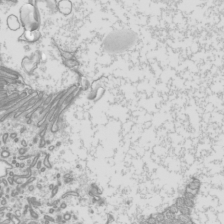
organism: Mouse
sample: Cilia; mouse epididymis